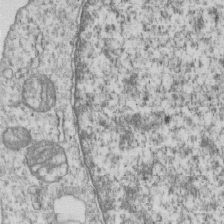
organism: Human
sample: MDA-MB-231 cells